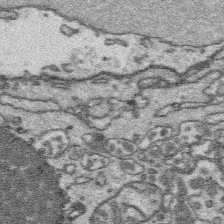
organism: Platynereis dumerilii